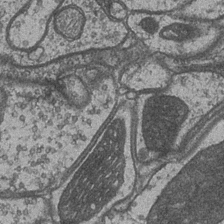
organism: Drosophila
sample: Optic medulla